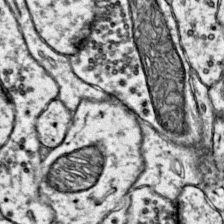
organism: Mouse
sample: Primary visual cortex